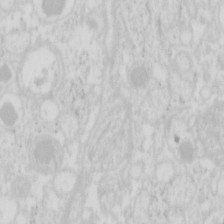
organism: Mouse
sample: Pancreas